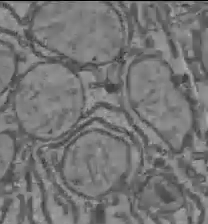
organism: C57BL Mouse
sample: Liver